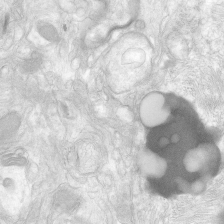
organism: Human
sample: Neocortex